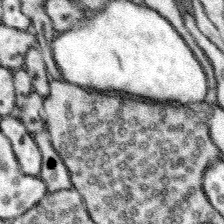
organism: Mouse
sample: Somatosensory cortex neuropil